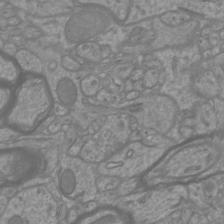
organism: Mouse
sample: Cortical neurons